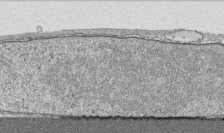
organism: Human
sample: CRL-1474